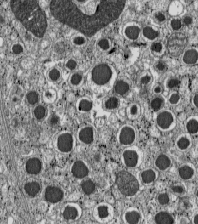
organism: C57BL Mouse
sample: Pancreatic islet